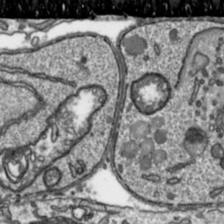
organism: Toxoplasma gondii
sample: Parasites in a vacuole inside a host cell